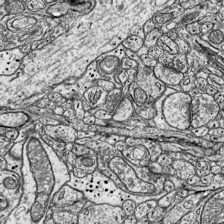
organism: Mouse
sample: Visual Cortex